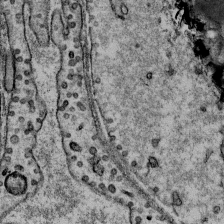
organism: Mouse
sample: Mouse Salivary gland